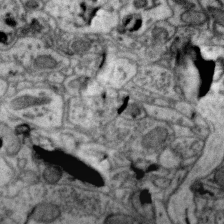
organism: Zebra finch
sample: Brain